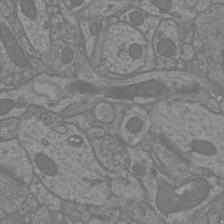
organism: Mouse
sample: Cortical neurons